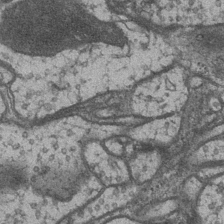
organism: Drosophila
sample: Optic medulla